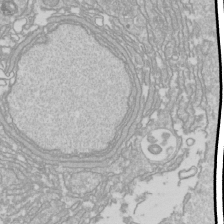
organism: Drosophila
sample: Cell division; meiosis; drosophila spermatocytes